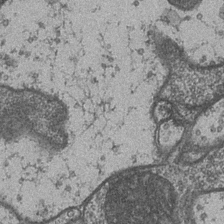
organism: Drosophila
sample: Optic medulla